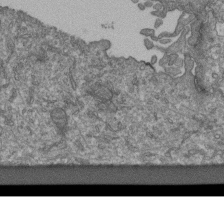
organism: Human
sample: Retinal organoid Rod and Cone cells